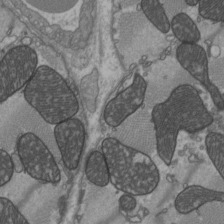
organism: C57BL Mouse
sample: Heart